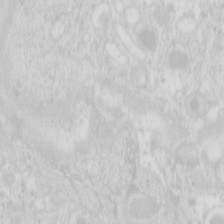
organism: Mouse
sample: Pancreas